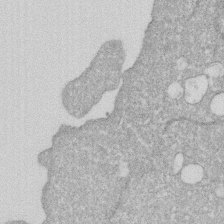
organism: Human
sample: HIV infected U937 cells